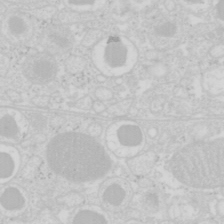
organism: Mouse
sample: Pancreas